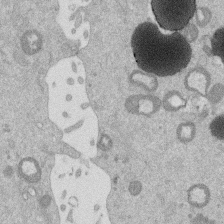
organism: Mouse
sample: Dividing mouse embryo 1 cell stage